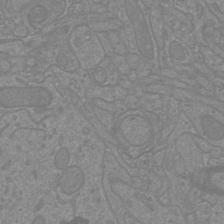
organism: Mouse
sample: Cortical neurons